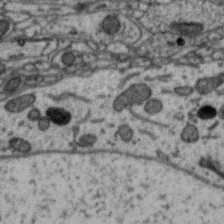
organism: Zebra finch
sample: Brain